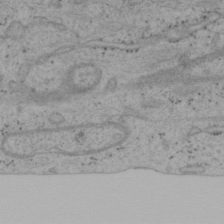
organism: Human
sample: HeLa cells